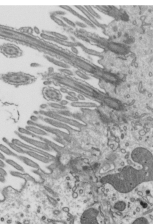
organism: Mouse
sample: Mouse epididymis efferent ductule cilia